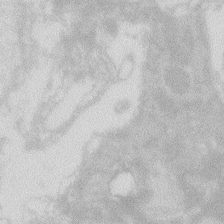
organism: Zebrafish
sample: Macrophage